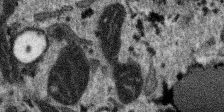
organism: Human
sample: Lung epithelial cells infected with SARS-CoV-2